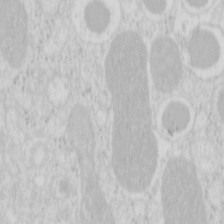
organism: Mouse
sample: Pancreas